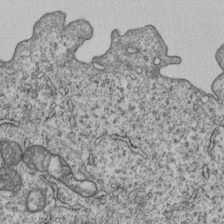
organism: Human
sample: MDA-MB-231 cells